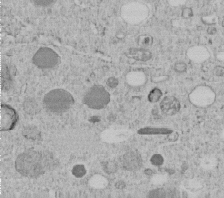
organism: C. elegans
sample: C. elegans embryo early stage